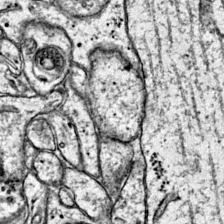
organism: Mouse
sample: Primary visual cortex